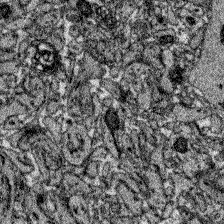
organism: Zebrafish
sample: Larval olfactory bulb